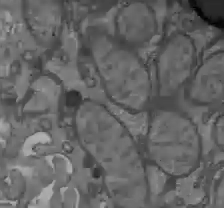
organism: C57BL Mouse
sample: Liver